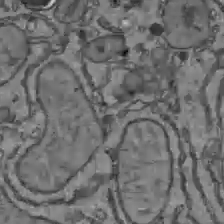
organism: C57BL Mouse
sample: Liver